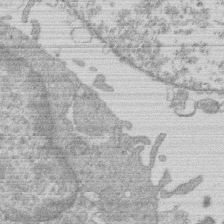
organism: Human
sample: Macrophage cells